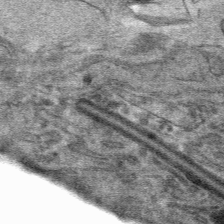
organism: Mouse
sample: Mouse hepatocytes